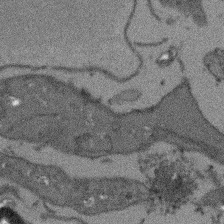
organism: Arabidopsis thaliana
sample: Root tip